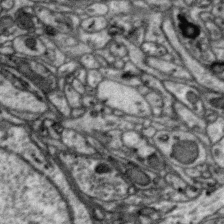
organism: Zebra finch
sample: Brain